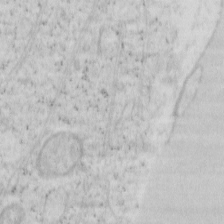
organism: Human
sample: HeLa cells